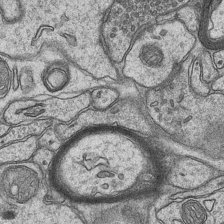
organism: Mouse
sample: CA1 Hippocampus